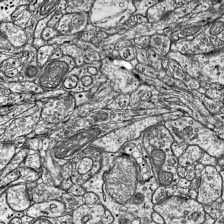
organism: Mouse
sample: Visual Cortex